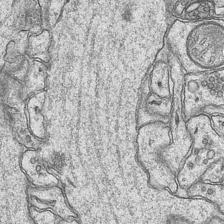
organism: Mouse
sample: CA1 Hippocampus